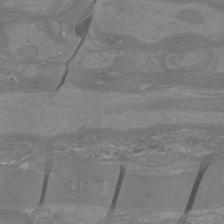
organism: Mouse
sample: Cortical neurons